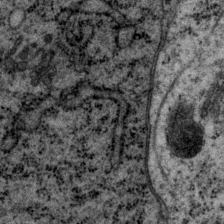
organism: P. pacificus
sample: Pharynx